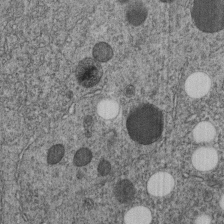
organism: C. elegans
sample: C. elegans embryo early stage